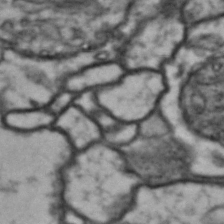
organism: Drosophila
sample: Brain